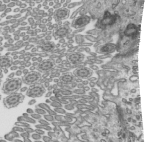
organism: Mouse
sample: Mouse epididymis efferent ductule cilia